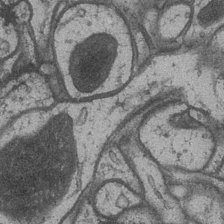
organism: Drosophila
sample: Optic medulla